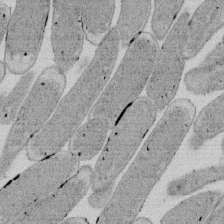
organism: E. coli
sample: Bacterial nucleoid